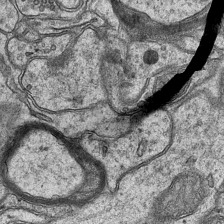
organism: Mouse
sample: CA1 Hippocampus